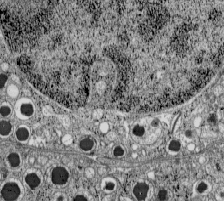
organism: C57BL Mouse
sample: Pancreatic islet